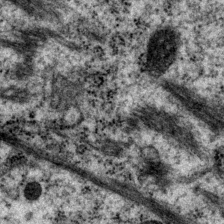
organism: P. pacificus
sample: Pharynx